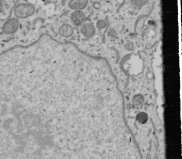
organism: Human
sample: Mitochondria in U2OS cells